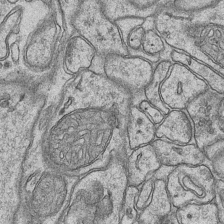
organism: Mouse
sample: CA1 Hippocampus